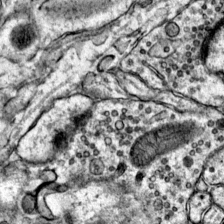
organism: Mouse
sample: Primary visual cortex